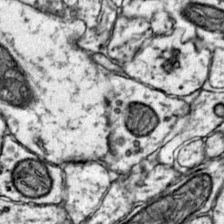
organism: Mouse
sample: Primary visual cortex